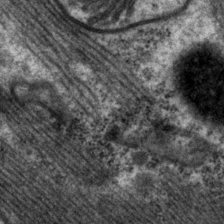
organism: P. pacificus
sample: Pharynx